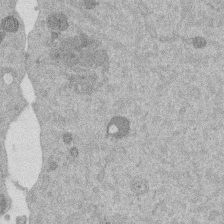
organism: Mouse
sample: Dividing mouse embryo 1 cell stage